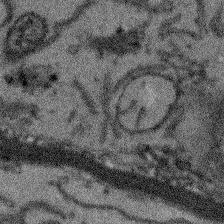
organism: Arabidopsis thaliana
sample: Root tip